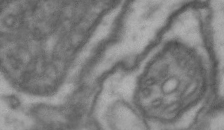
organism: Drosophila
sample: Brain